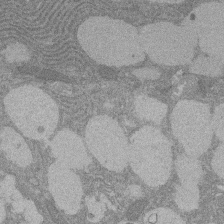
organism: Rat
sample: Salivary granule